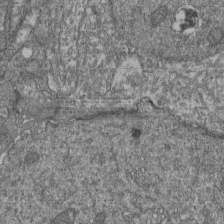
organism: Human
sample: Retinal organoid Rod and Cone cells